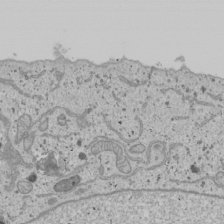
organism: Human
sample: Mitochondria in U2OS cells